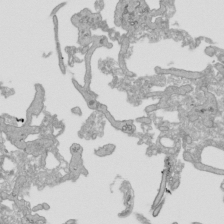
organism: Human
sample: Mitochondria in HCT116 cells